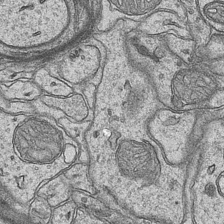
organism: Mouse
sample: CA1 Hippocampus